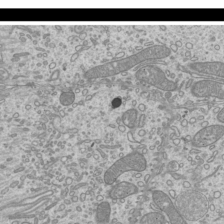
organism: Mouse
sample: Cilia; mouse epididymis